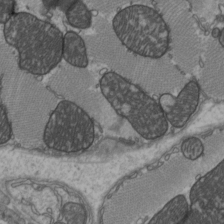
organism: C57BL Mouse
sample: Heart